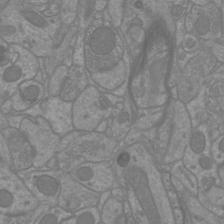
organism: Mouse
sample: Cortical neurons